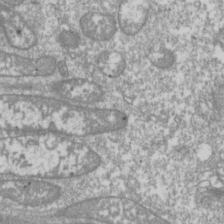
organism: Drosophila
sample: Cell division; meiosis; drosophila spermatocytes